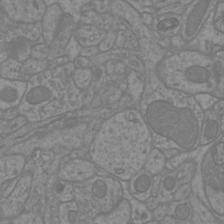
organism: Mouse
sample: Cortical neurons